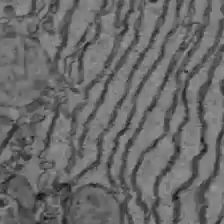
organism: C57BL Mouse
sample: Liver